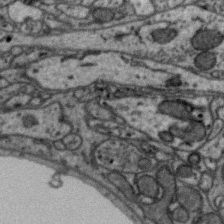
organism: Zebra finch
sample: Brain